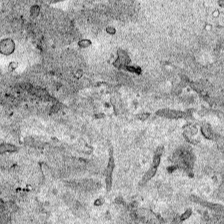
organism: Human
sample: Mitochondria in HCT116 cells